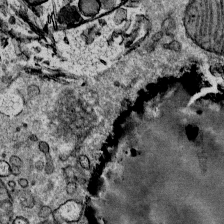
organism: Mouse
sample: Mouse Salivary gland